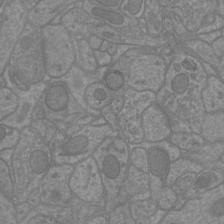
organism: Mouse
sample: Cortical neurons